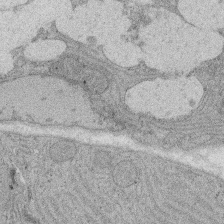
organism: Rat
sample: Salivary granule